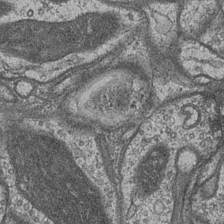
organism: Drosophila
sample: Optic medulla